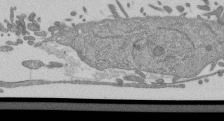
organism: Mouse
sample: ED-1 cell nuclei; centrioles